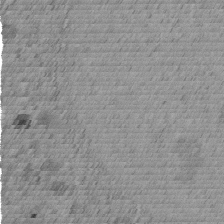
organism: C. elegans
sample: C. elegans embryo early stage